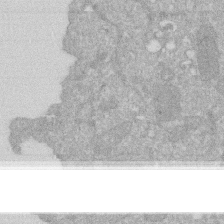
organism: Human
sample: HIV infected U937 cells